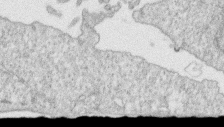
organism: Human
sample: HeLa cell HIV synapse